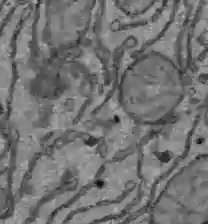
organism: C57BL Mouse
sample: Liver